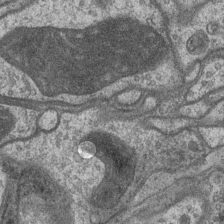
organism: Drosophila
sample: Optic medulla